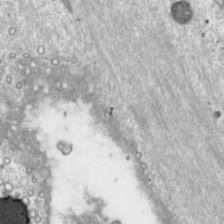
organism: Toxoplasma gondii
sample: Parasites in a vacuole inside a host cell